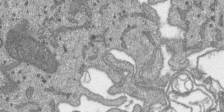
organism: Human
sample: Lung epithelial cells infected with SARS-CoV-2